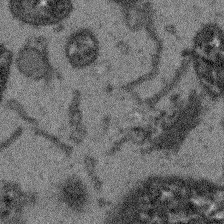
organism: Arabidopsis thaliana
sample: Root tip